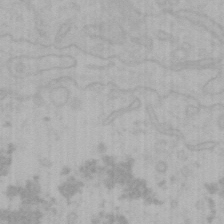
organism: Mouse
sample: Choroid plexus